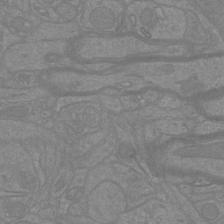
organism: Mouse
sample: Cortical neurons